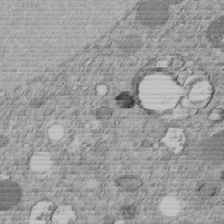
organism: C. elegans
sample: C. elegans embryo early stage